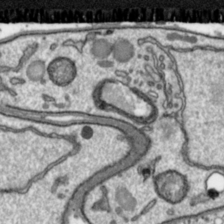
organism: Toxoplasma gondii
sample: Parasites in a vacuole inside a host cell